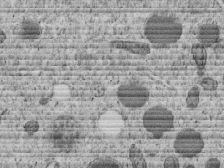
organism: C. elegans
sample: C. elegans embryo early stage